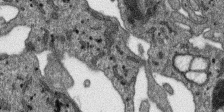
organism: Human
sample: Lung epithelial cells infected with SARS-CoV-2